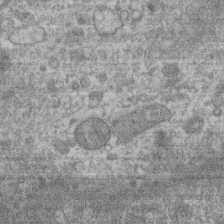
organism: Mouse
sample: T cell stromal cell synapse